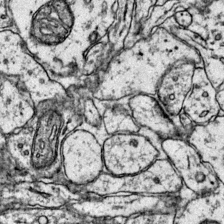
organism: Mouse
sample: Primary visual cortex